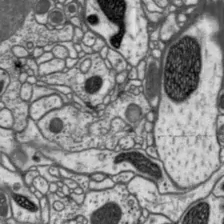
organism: Drosophila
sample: Protocerebral bridge